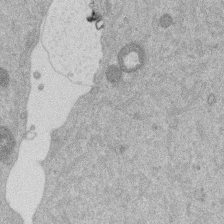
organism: Mouse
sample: Dividing mouse embryo 1 cell stage